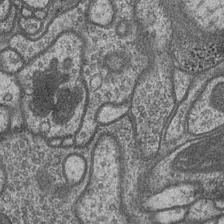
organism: Drosophila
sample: Optic medulla